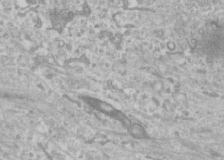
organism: Human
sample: Cilia; basal body in RPE cells